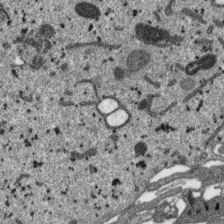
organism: Human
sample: Lung epithelial cells infected with SARS-CoV-2